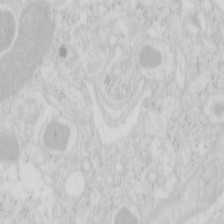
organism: Mouse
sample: Pancreas